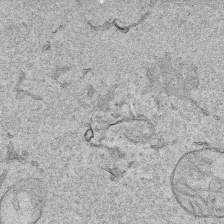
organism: Human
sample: Mitochondria in HCT116 cells